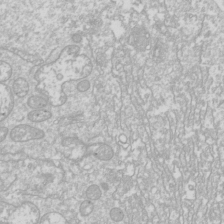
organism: Drosophila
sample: Cell division; meiosis; drosophila spermatocytes